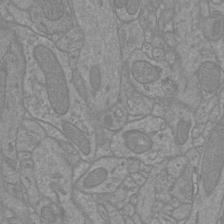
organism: Mouse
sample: Cortical neurons